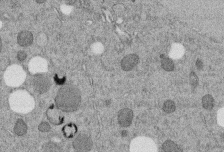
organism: C. elegans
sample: C. elegans embryo early stage